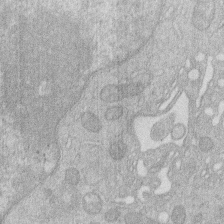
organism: Human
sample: Macrophage cells